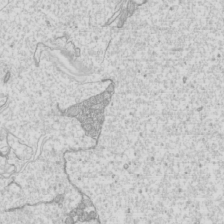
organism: Mouse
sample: Cilia; mouse epididymis